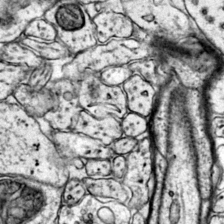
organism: Mouse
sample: Primary visual cortex